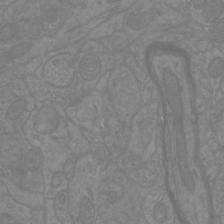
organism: Mouse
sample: Cortical neurons